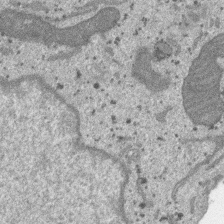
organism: Human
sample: Lung epithelial cells infected with SARS-CoV-2